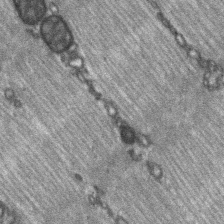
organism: C57BL Mouse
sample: Soleus